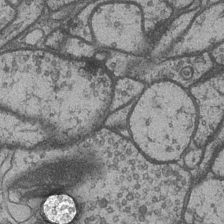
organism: Drosophila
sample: Optic medulla